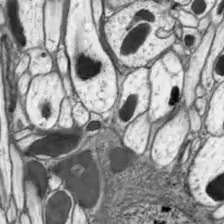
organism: Drosophila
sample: Optic lobe